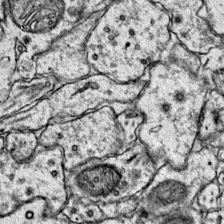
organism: Mouse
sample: Primary visual cortex